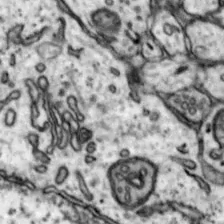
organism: Mouse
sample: Nucleus accumbens